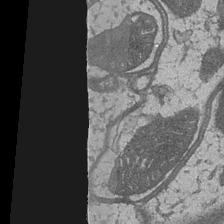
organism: Drosophila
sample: Optic medulla